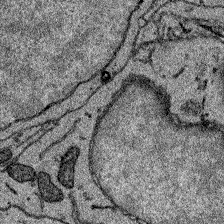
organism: Zebrafish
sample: Larval olfactory bulb